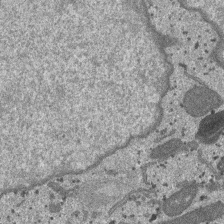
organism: Human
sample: Lung epithelial cells infected with SARS-CoV-2